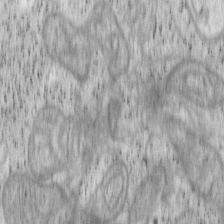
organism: Human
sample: HeLa cells